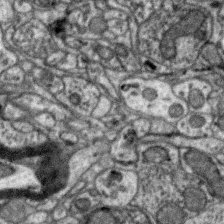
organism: Zebra finch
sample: Brain